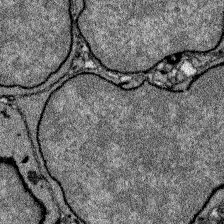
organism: Zebrafish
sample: Larval olfactory bulb